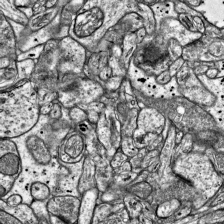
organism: Mouse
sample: Visual Cortex